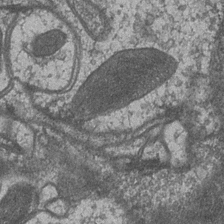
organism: Drosophila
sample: Optic medulla